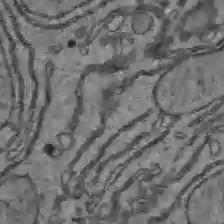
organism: C57BL Mouse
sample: Liver